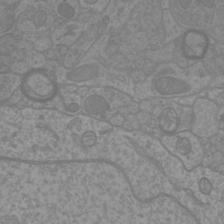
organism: Mouse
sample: Cortical neurons